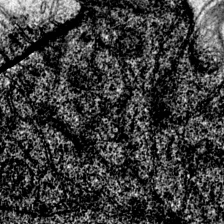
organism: Mouse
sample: Primary visual cortex